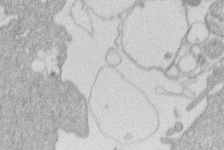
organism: Human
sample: Macrophage cells